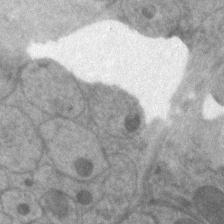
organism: C. elegans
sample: Pharynx